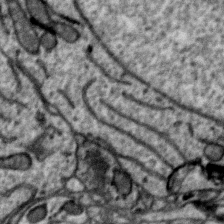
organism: Zebra finch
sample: Brain